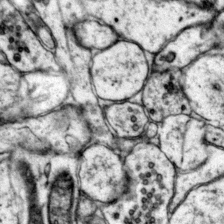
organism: Mouse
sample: Primary visual cortex